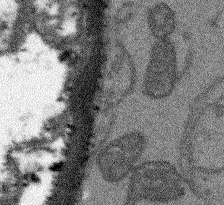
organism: Arabidopsis thaliana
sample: Root tip